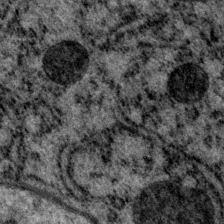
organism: P. pacificus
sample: Pharynx